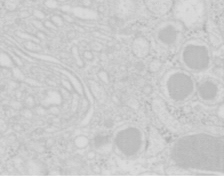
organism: Mouse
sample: Pancreas